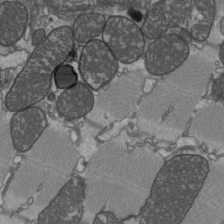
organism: C57BL Mouse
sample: Heart